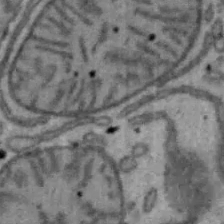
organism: Mouse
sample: Liver